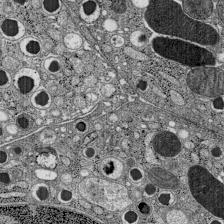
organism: C57BL Mouse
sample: Pancreatic islet